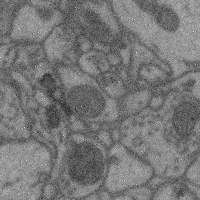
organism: Mouse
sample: Cerebral cortex